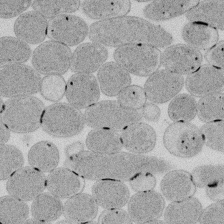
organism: E. coli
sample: Bacterial nucleoid